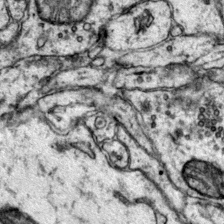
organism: Mouse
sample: Primary visual cortex